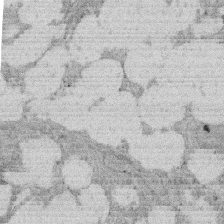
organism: Rat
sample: Salivary granule